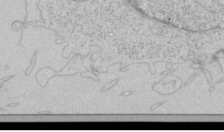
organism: Human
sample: Mitochondria in HCT116 cells